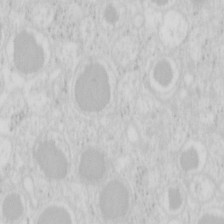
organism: Mouse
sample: Pancreas